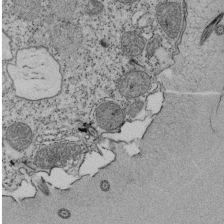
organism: Tetrahymena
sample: Cilia in tetrahymena